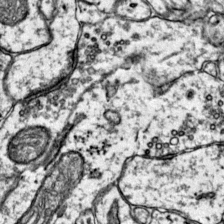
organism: Mouse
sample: Primary visual cortex